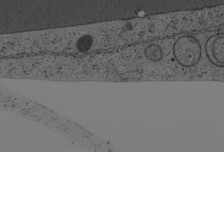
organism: African green monkey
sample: COS-7 cells